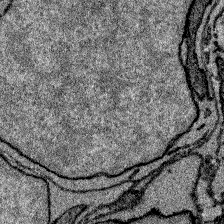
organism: Zebrafish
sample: Larval olfactory bulb